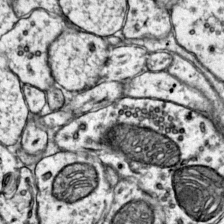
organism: Mouse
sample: Primary visual cortex